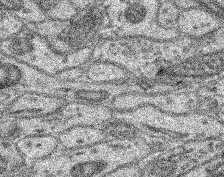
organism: Mouse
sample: Retina